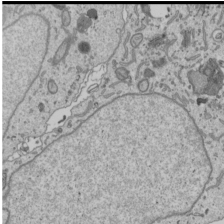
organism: Human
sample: Mitochondria in U2OS cells